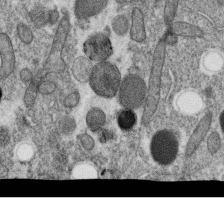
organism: C. elegans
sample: C. elegans oocyte; sperm cells